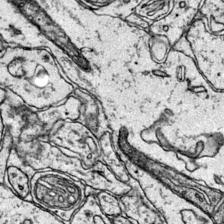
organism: Mouse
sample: Primary visual cortex